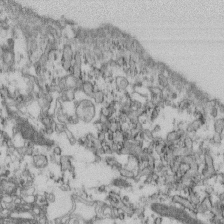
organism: Mouse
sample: Cilia; retinal pigment epithelium